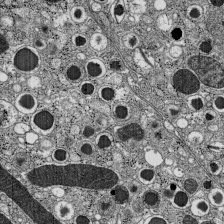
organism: C57BL Mouse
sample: Pancreatic islet